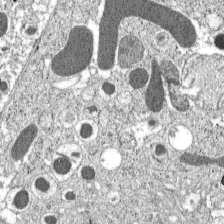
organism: C57BL Mouse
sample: Pancreatic islet